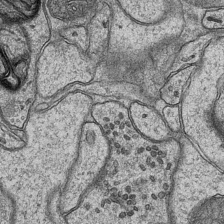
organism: Mouse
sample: CA1 Hippocampus